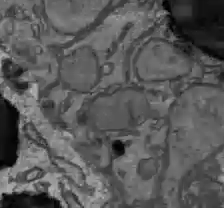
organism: C57BL Mouse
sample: Liver